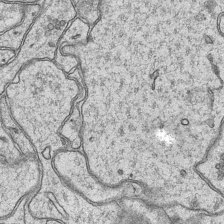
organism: Mouse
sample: CA1 Hippocampus